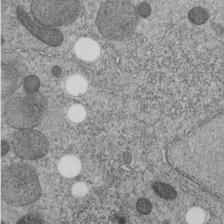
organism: C. elegans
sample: C. elegans embryo early stage